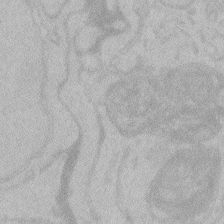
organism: Zebrafish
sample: Macrophage infected with Toxoplasma gondii